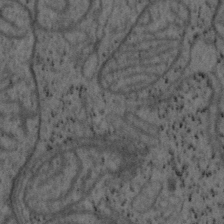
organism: Human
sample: HeLa cells